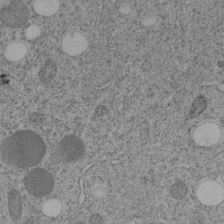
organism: C. elegans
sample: C. elegans embryo early stage